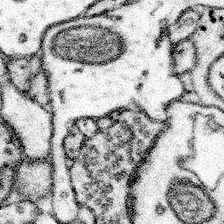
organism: Mouse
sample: Somatosensory cortex neuropil